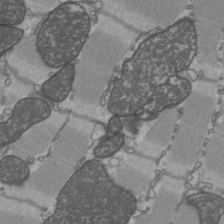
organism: C57BL Mouse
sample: Heart